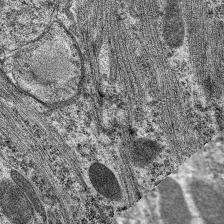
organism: C. elegans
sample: Pharynx